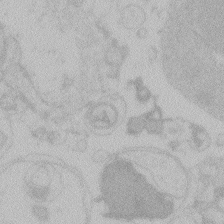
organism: Zebrafish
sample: Macrophage infected with Toxoplasma gondii